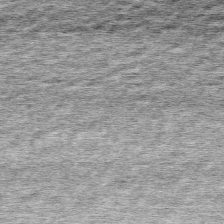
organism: Human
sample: HeLa cells